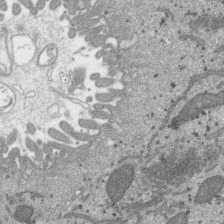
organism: Human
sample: Lung epithelial cells infected with SARS-CoV-2